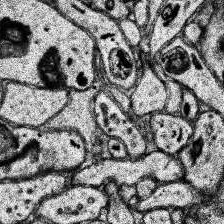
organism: Human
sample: Temporal Lobe